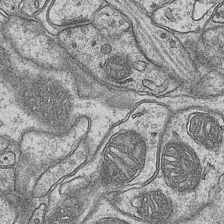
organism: Mouse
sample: CA1 Hippocampus